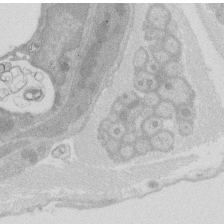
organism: Rat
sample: Salivary granule